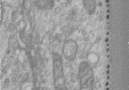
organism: Human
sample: Centriole in RPE cells